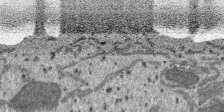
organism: Human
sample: Lung epithelial cells infected with SARS-CoV-2